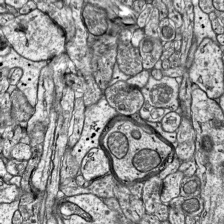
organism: Mouse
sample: Visual Cortex